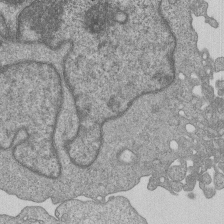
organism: Human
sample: MDA-MB-231 cells